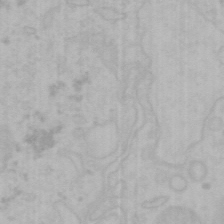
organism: Mouse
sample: Choroid plexus